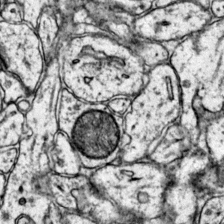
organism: Mouse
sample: Primary visual cortex